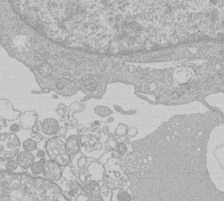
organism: Human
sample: Macrophage cells